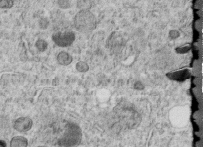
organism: C. elegans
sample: C. elegans embryo early stage